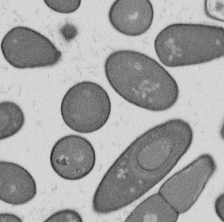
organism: B. subtilis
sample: Bacterial spore